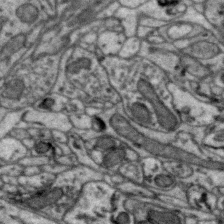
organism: Zebra finch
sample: Brain